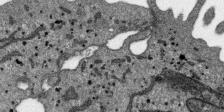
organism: Human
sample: Lung epithelial cells, uninfected (mock) control